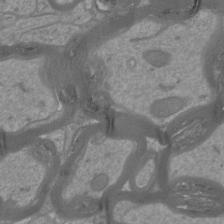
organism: Mouse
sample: Cortical neurons